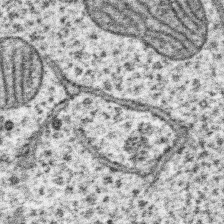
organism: Human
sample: HeLa cells